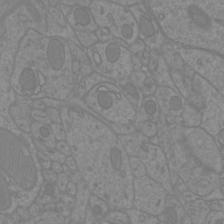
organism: Mouse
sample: Cortical neurons